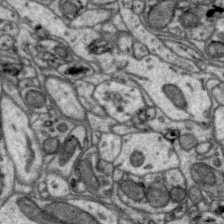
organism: Zebra finch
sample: Brain